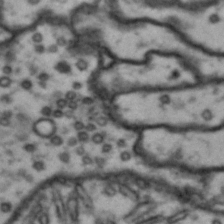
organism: Drosophila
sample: Brain